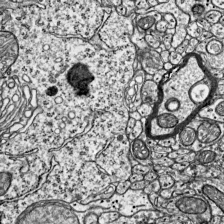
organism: Mouse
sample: Visual Cortex